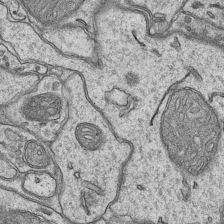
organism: Mouse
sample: CA1 Hippocampus